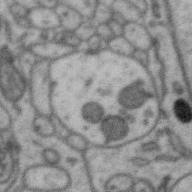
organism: Zebra finch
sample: Brain